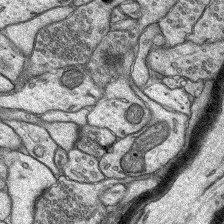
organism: Rat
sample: Hippocampus